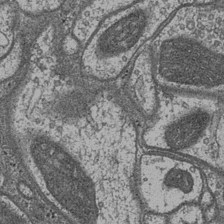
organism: Drosophila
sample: Optic medulla